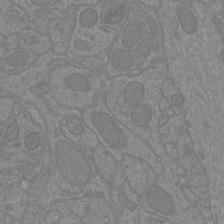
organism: Mouse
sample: Cortical neurons